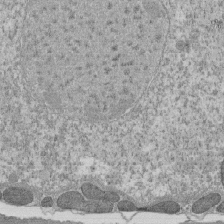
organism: Tetrahymena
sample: Cilia in tetrahymena